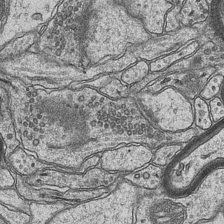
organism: Mouse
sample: CA1 Hippocampus